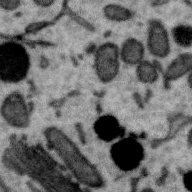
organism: Zebra finch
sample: Brain